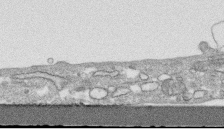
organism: Human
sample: CRL-1474